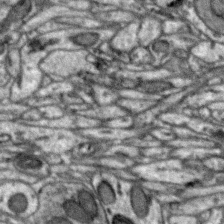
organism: Zebra finch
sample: Brain